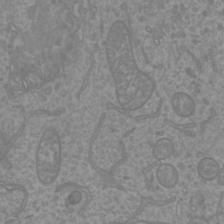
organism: Mouse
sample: Cortical neurons